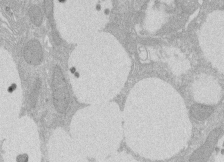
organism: Rat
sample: Salivary granule